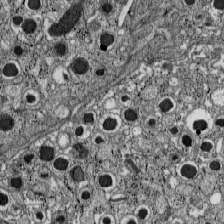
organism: C57BL Mouse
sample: Pancreatic islet